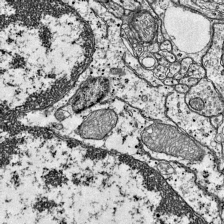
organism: Mouse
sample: Visual Cortex